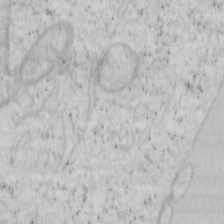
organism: Human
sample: HeLa cells